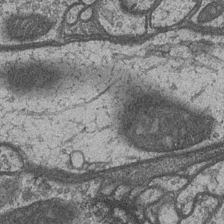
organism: Drosophila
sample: Optic medulla